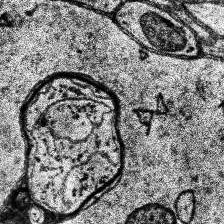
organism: Human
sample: Temporal Lobe